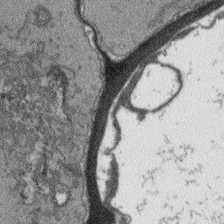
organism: Arabidopsis thaliana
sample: Root tip